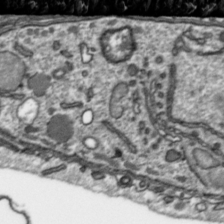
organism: Toxoplasma gondii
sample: Parasites in a vacuole inside a host cell